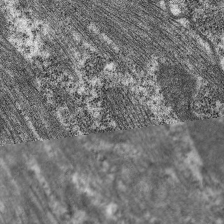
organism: C. elegans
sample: Pharynx